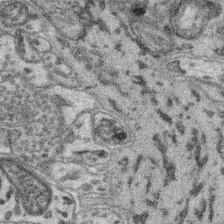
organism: Mouse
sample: Retina